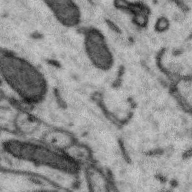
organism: Zebra finch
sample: Brain